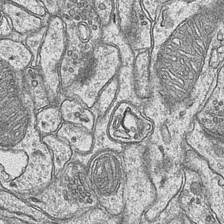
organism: Mouse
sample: CA1 Hippocampus